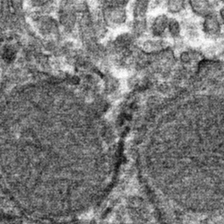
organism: Mouse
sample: Mouse hepatocytes